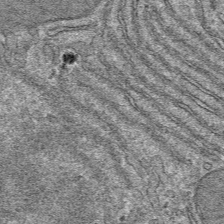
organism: Mouse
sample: Mouse hepatocytes